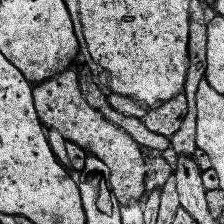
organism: Human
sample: Temporal Lobe